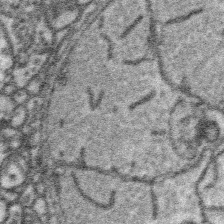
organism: Platynereis dumerilii